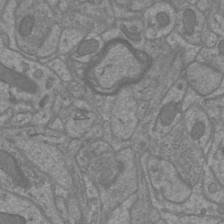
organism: Mouse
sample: Cortical neurons